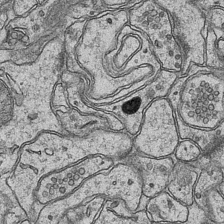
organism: Mouse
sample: CA1 Hippocampus